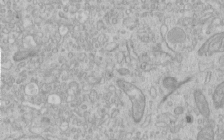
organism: Human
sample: Centriole in RPE cells